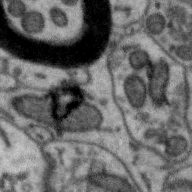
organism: Zebra finch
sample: Brain